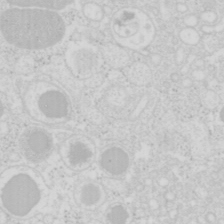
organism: Mouse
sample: Pancreas